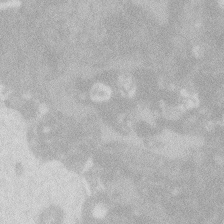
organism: Zebrafish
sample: Macrophage